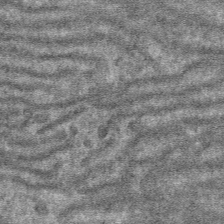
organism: Mouse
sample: Mouse hepatocytes